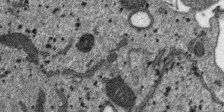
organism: Human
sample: Lung epithelial cells infected with SARS-CoV-2